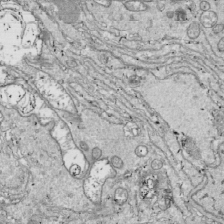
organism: Drosophila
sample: Cell division; meiosis; drosophila spermatocytes